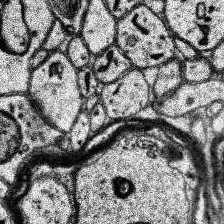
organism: Human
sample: Temporal Lobe